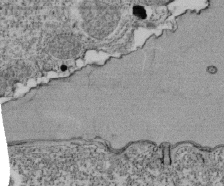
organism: Tetrahymena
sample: Cilia in tetrahymena